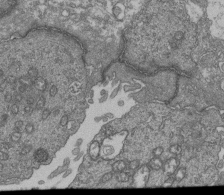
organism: Human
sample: Retinal organoid Rod and Cone cells